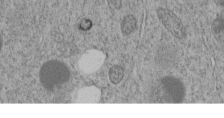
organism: C. elegans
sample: C. elegans embryo early stage